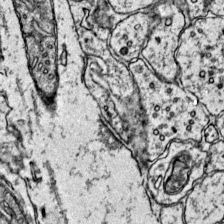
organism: Mouse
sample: Primary visual cortex